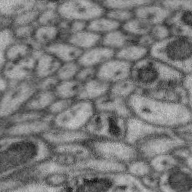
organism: Zebra finch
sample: Brain